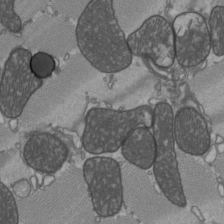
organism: C57BL Mouse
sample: Heart